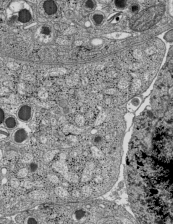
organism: C57BL Mouse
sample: Pancreatic islet